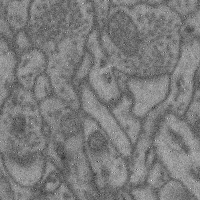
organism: Mouse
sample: Cerebral cortex